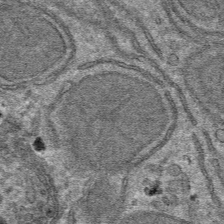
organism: Mouse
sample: Mouse hepatocytes